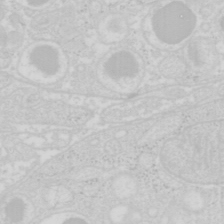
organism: Mouse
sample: Pancreas